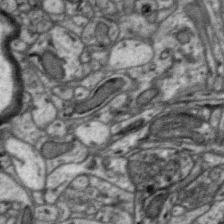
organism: Zebra finch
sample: Brain